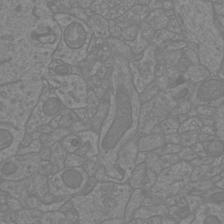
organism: Mouse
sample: Cortical neurons